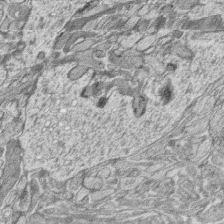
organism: Zebrafish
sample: synaptic ribbons in rod cells and cone cells